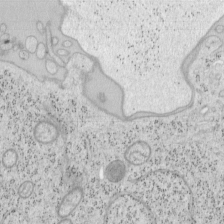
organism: Mouse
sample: OT-I killer T cells with ID8 ovarian cancer cells